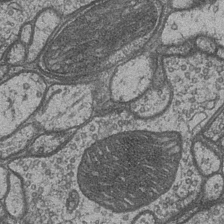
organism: Drosophila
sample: Optic medulla